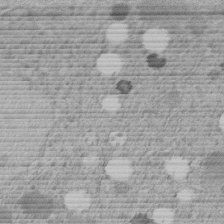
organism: C. elegans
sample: C. elegans embryo early stage